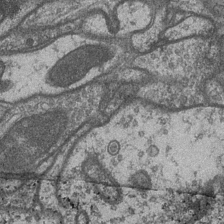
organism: Drosophila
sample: Optic medulla